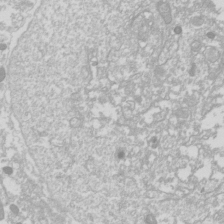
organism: Drosophila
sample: Cell division; meiosis; drosophila spermatocytes